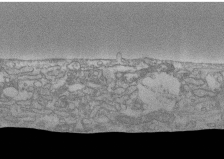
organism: Human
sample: CRL-1474